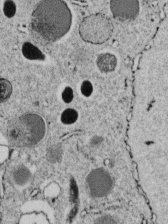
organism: C. elegans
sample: C. elegans embryo early stage